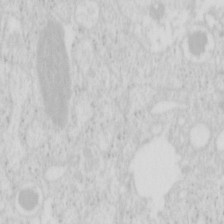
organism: Mouse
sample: Pancreas